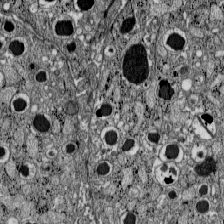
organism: C57BL Mouse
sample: Pancreatic islet